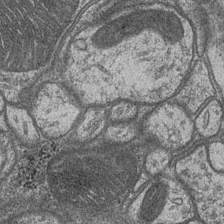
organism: Drosophila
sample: Optic medulla